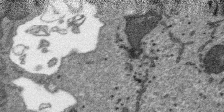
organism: Human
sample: Lung epithelial cells infected with SARS-CoV-2